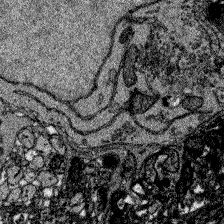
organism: Zebrafish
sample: Larval olfactory bulb